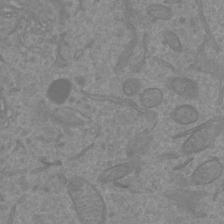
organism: Mouse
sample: Cortical neurons